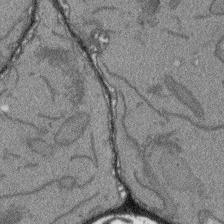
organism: Arabidopsis thaliana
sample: Root tip